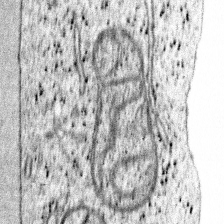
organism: Human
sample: HeLa cells